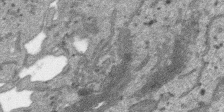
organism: Human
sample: Lung epithelial cells infected with SARS-CoV-2